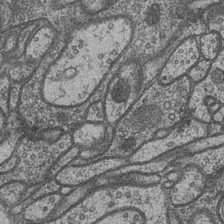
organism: Drosophila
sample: Optic medulla